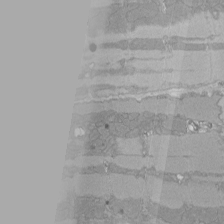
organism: Rat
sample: Left ventricle